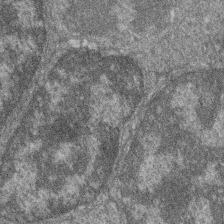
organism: Zebrafish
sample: Cilia; retinal pigment epithelium